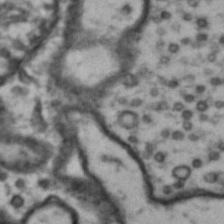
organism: Drosophila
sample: Brain